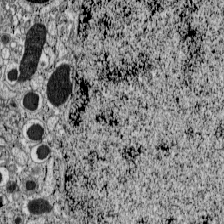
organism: C57BL Mouse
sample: Pancreatic islet